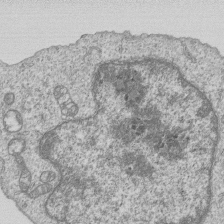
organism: Human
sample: MDA-MB-231 cells